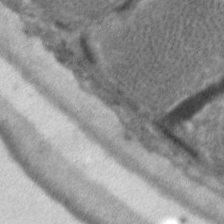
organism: C. elegans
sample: Pharynx